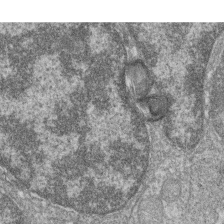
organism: Zebrafish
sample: Cilia; retinal pigment epithelium